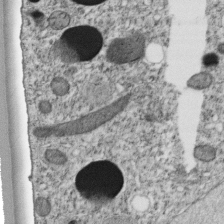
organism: C. elegans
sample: C. elegans embryo early stage